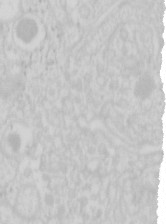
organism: Mouse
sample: Pancreas